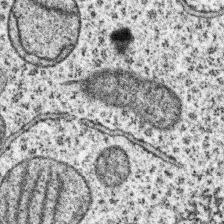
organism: Human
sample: HeLa cells